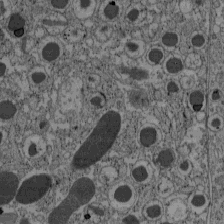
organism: C57BL Mouse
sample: Pancreatic islet